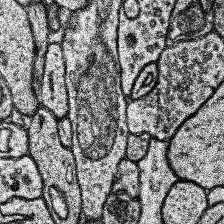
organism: Human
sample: Temporal Lobe